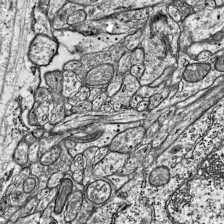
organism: Mouse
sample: Visual Cortex